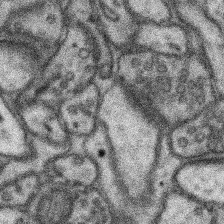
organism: Mouse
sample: Somatosensory cortex neuropil